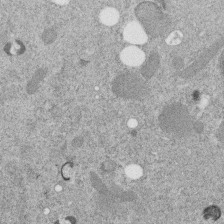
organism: C. elegans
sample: C. elegans embryo early stage